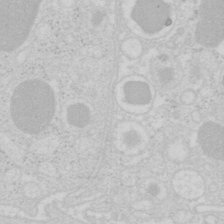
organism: Mouse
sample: Pancreas